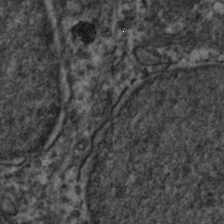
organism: Zebrafish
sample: Zebrafish embryo